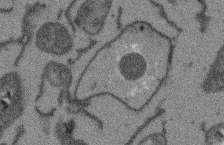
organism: Arabidopsis thaliana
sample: Root tip